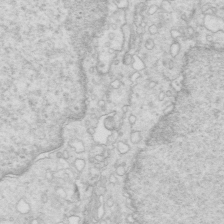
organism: Mouse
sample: Multiciliated cells